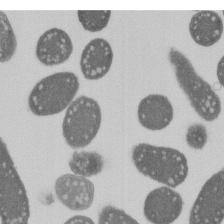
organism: E. coli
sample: Bacterial nucleoid